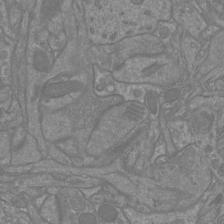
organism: Mouse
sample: Cortical neurons